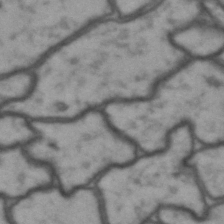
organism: Drosophila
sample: Brain